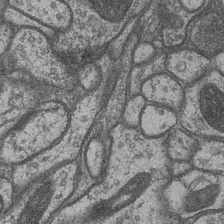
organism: Drosophila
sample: Optic medulla